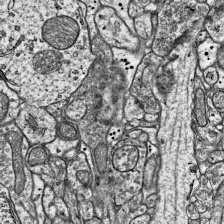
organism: Mouse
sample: Visual Cortex